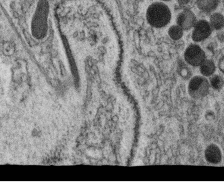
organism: C. elegans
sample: C. elegans oocyte; sperm cells